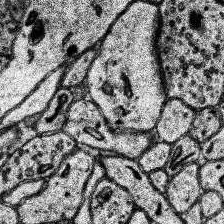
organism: Human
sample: Temporal Lobe